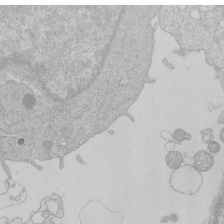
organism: Human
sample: Macrophage cells